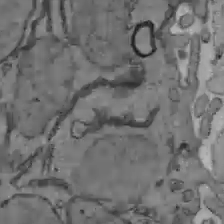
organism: C57BL Mouse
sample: Liver